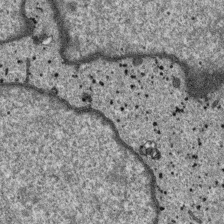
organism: Human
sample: Lung epithelial cells, uninfected (mock) control